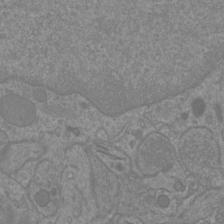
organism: Mouse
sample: Cortical neurons